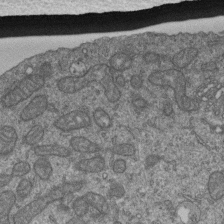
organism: Human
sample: Retinal organoid Rod and Cone cells